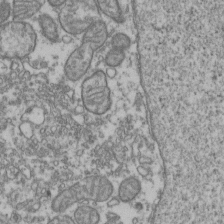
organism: Human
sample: Activated Jurkat CD4+ T cells